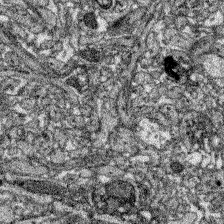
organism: Zebrafish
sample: Larval olfactory bulb